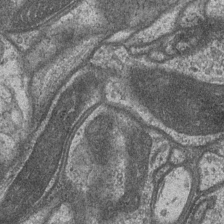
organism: Drosophila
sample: Optic medulla